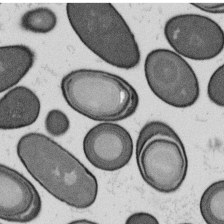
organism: B. subtilis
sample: Bacterial spore